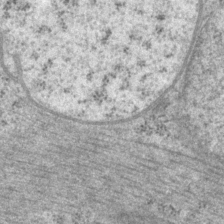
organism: P. pacificus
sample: Pharynx